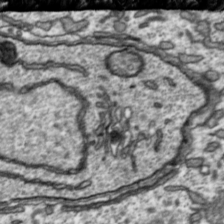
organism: Toxoplasma gondii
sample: Parasites in a vacuole inside a host cell